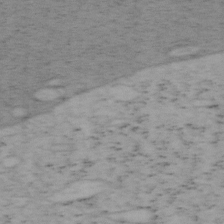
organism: Mouse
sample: OT-I killer T cells with ID8 ovarian cancer cells